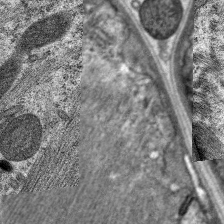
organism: C. elegans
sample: Pharynx